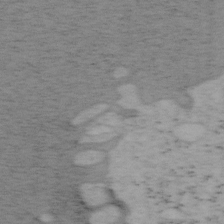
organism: Mouse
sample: OT-I killer T cells with ID8 ovarian cancer cells